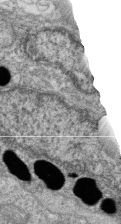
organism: Zebrafish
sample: Cilia; retinal pigment epithelium